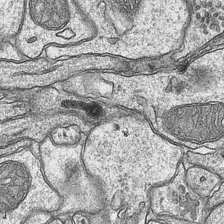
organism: Mouse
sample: CA1 Hippocampus